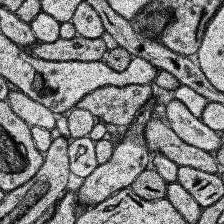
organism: Human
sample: Temporal Lobe